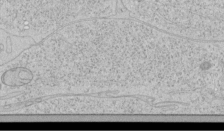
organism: Human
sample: Mitochondria in HCT116 cells